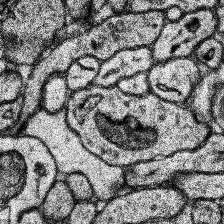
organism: Human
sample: Temporal Lobe